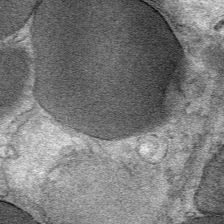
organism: Mouse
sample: Mouse Salivary gland